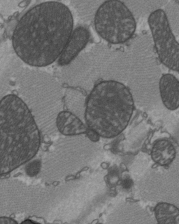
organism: C57BL Mouse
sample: Heart